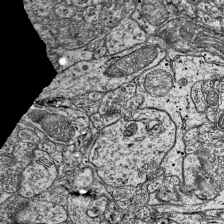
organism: Mouse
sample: Visual Cortex